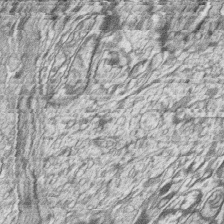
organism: Zebrafish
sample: synaptic ribbons in rod cells and cone cells